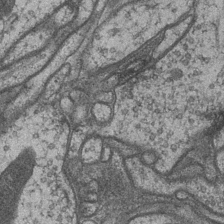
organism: Drosophila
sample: Optic medulla